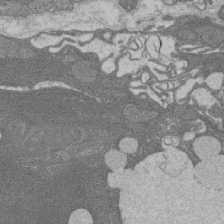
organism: Rat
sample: Salivary granule